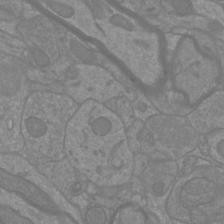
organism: Mouse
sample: Cortical neurons